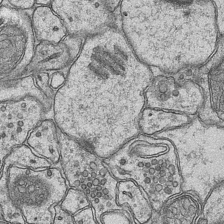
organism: Mouse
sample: CA1 Hippocampus